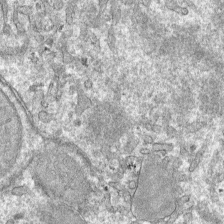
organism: Mouse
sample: Mouse hepatocytes